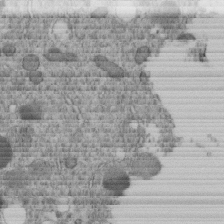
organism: C. elegans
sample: C. elegans embryo early stage